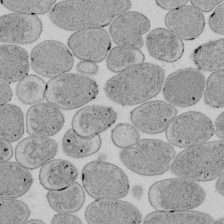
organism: E. coli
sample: Bacterial nucleoid